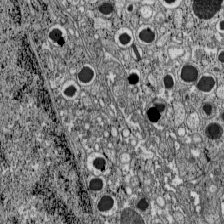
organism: C57BL Mouse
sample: Pancreatic islet